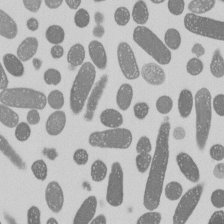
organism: E. coli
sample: Bacterial nucleoid